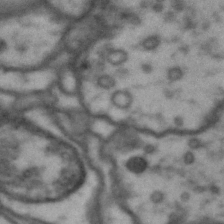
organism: Drosophila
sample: Brain